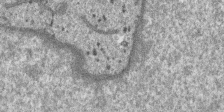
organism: Human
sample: Lung epithelial cells infected with SARS-CoV-2